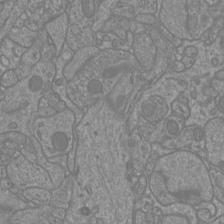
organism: Mouse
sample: Cortical neurons